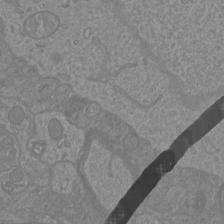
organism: Mouse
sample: Cortical neurons